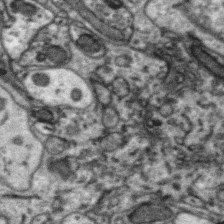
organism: Zebra finch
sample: Brain